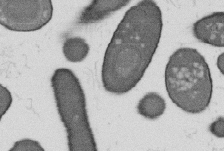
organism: B. subtilis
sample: Bacterial spore